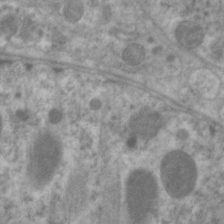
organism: C. elegans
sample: Pharynx